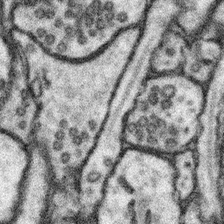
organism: Mouse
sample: Somatosensory cortex neuropil